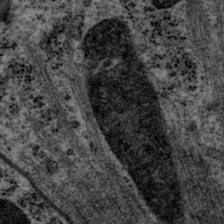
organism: P. pacificus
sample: Pharynx